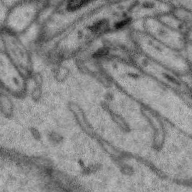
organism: Zebra finch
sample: Brain